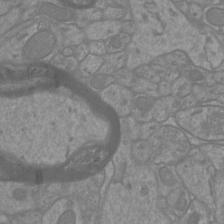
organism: Mouse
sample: Cortical neurons